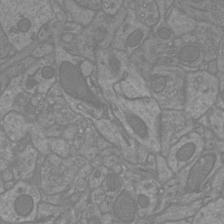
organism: Mouse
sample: Cortical neurons